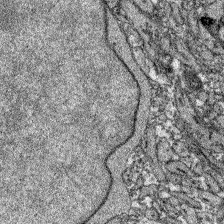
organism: Zebrafish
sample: Larval olfactory bulb